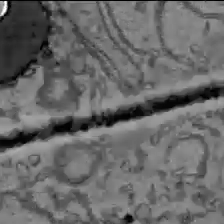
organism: C57BL Mouse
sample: Liver